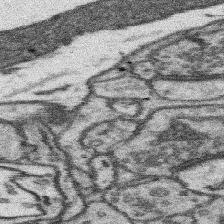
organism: Mouse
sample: Somatosensory cortex neuropil